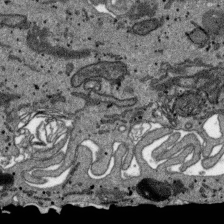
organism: Human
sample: Lung epithelial cells, uninfected (mock) control